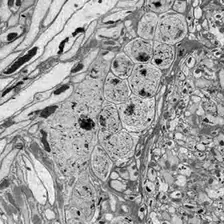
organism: Drosophila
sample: Optic lobe